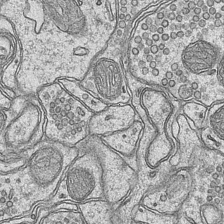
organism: Mouse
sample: CA1 Hippocampus